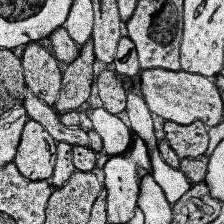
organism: Human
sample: Temporal Lobe